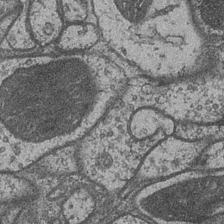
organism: Drosophila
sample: Optic medulla